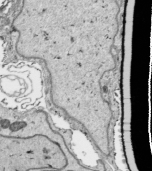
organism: Human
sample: Mitochondria in HCT116 cells